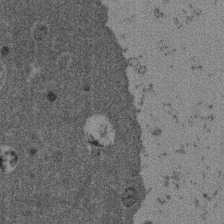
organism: Mouse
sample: Dividing mouse embryo 1 cell stage